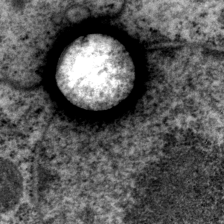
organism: P. pacificus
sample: Pharynx